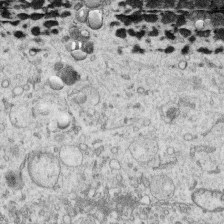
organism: Human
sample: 1205lu cells